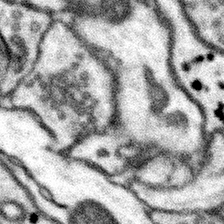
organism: Mouse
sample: Somatosensory cortex neuropil